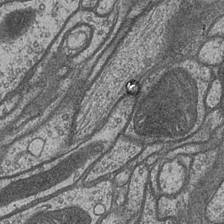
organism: Drosophila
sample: Optic medulla